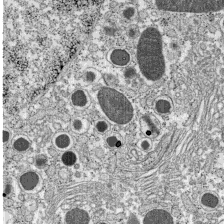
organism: C57BL Mouse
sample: Pancreatic islet